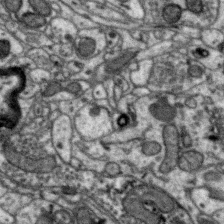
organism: Zebra finch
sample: Brain